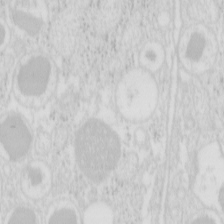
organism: Mouse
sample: Pancreas